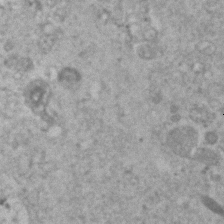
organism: Human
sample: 1205lu cells